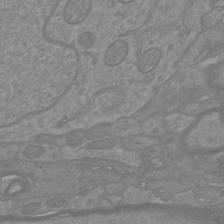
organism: Mouse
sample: Cortical neurons